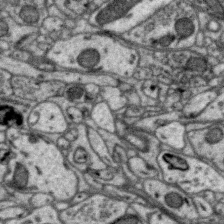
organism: Zebra finch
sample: Brain